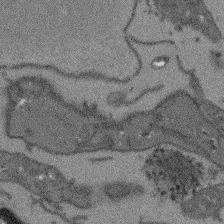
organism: Arabidopsis thaliana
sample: Root tip